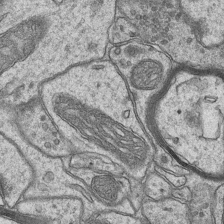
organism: Mouse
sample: CA1 Hippocampus